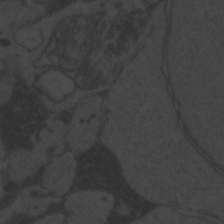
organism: Zebrafish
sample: Macrophage infected with Toxoplasma gondii